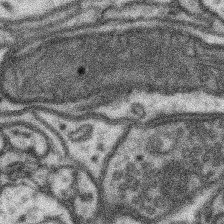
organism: Mouse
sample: Somatosensory cortex neuropil